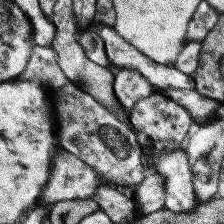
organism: Human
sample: Temporal Lobe